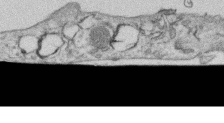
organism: Human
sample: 1205lu cells